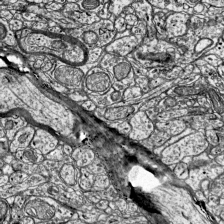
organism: Mouse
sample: Visual Cortex